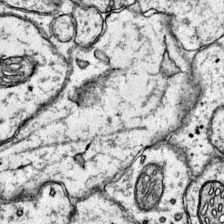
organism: Mouse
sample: Primary visual cortex